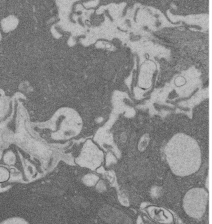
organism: Rat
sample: Salivary granule